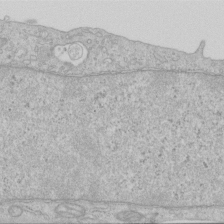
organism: Human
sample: Centriole in RPE cells